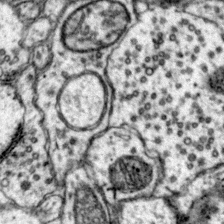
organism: Mouse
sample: Primary visual cortex